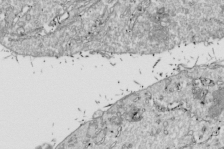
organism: Drosophila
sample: Cell division; meiosis; drosophila spermatocytes